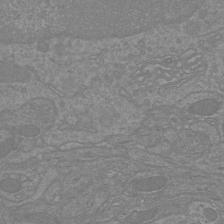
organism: Mouse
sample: Cortical neurons